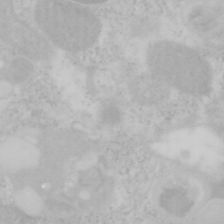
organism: Mouse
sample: OT-I killer T cells with ID8 ovarian cancer cells